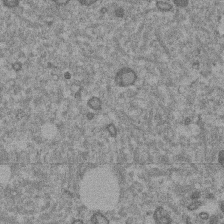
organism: Mouse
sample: Dividing mouse embryo 1 cell stage